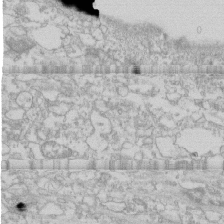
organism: Human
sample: CRL-1474